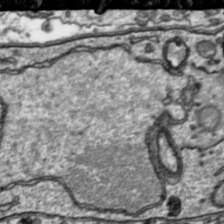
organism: Toxoplasma gondii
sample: Parasites in a vacuole inside a host cell